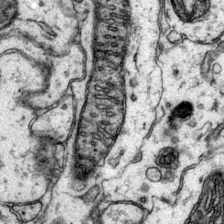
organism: Mouse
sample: Primary visual cortex